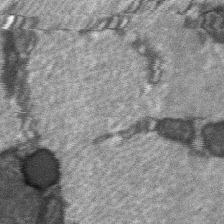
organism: C57BL Mouse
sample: Soleus